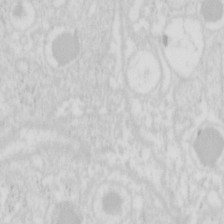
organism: Mouse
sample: Pancreas